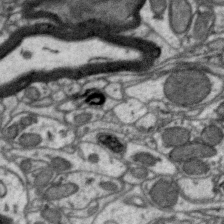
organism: Zebra finch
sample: Brain